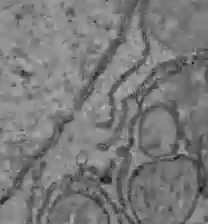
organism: C57BL Mouse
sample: Liver